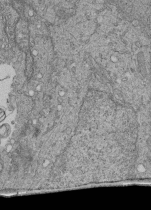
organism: Human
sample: Retinal organoid Rod and Cone cells